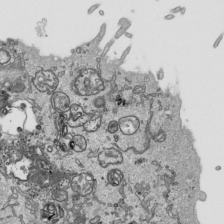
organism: Human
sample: Mitochondria in HCT116 cells